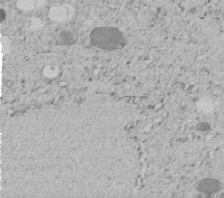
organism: C. elegans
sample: C. elegans embryo early stage